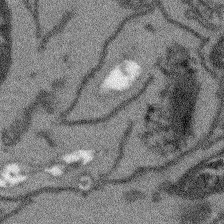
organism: Arabidopsis thaliana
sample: Root tip